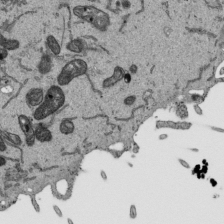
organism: Human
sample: Mitochondria in HCT116 cells